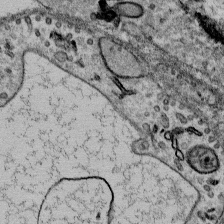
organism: Mouse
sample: Mouse Salivary gland